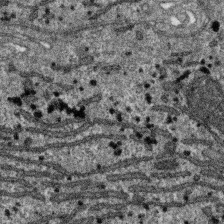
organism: Human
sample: Lung epithelial cells infected with SARS-CoV-2